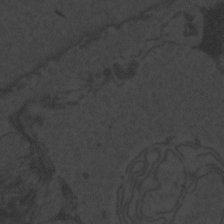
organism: Zebrafish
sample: Macrophage infected with Toxoplasma gondii